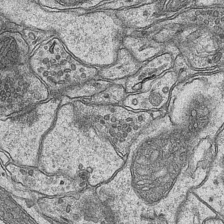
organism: Mouse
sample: CA1 Hippocampus